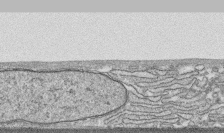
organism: Human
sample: CRL-1474